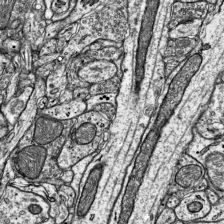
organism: Mouse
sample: Visual Cortex